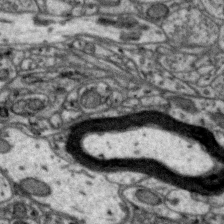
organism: Zebra finch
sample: Brain